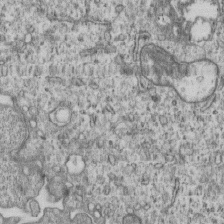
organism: Human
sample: MDA-MB-231 cells